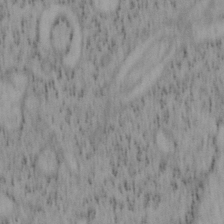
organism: Mouse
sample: OT-I killer T cells with ID8 ovarian cancer cells